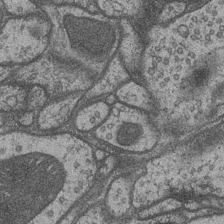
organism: Drosophila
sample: Optic medulla